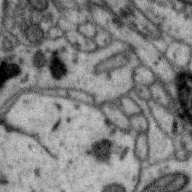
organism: Zebra finch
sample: Brain